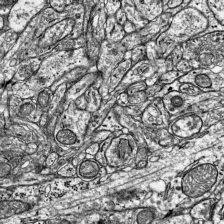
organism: Mouse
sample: Visual Cortex